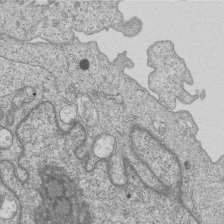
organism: Human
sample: MDA-MB-231 cells